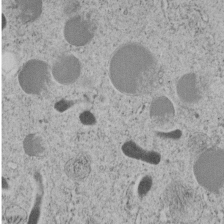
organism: C. elegans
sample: C. elegans embryo early stage